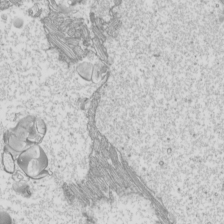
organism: Mouse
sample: Cilia; mouse epididymis